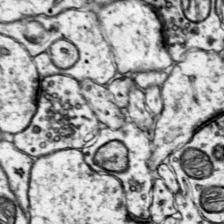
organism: Mouse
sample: Primary visual cortex